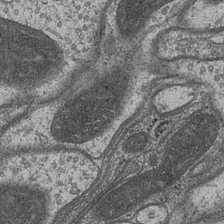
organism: Drosophila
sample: Optic medulla